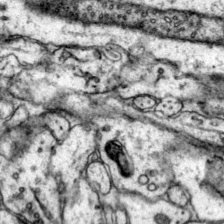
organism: Mouse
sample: Primary visual cortex